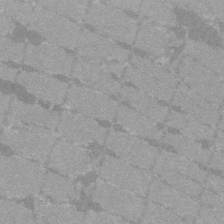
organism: C57BL Mouse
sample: Tibialis anterior muscle cell